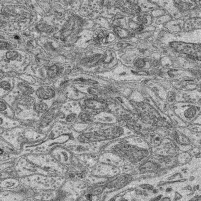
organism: Mouse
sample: Retina